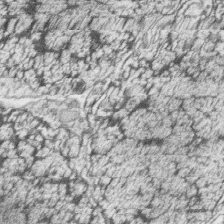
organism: Zebrafish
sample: synaptic ribbons in rod cells and cone cells